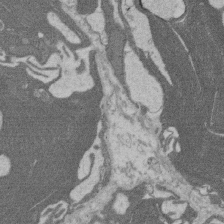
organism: Rat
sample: Salivary granule